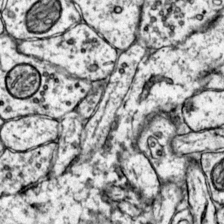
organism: Mouse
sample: Primary visual cortex